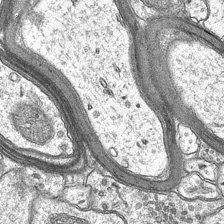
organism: Mouse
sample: CA1 Hippocampus